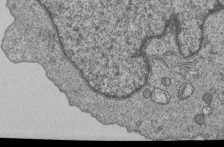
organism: Human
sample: MDA-MB-231 cells